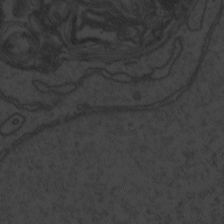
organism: Zebrafish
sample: Macrophage infected with Toxoplasma gondii